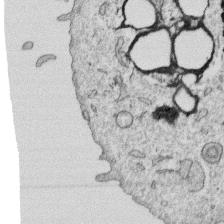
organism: Human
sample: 1205lu cells